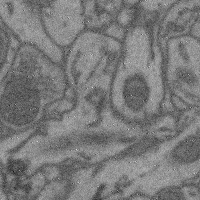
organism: Mouse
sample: Cerebral cortex